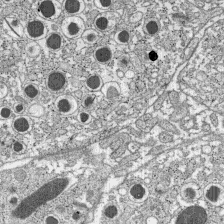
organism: C57BL Mouse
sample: Pancreatic islet